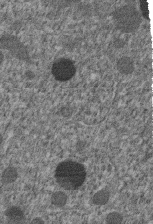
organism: C. elegans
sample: C. elegans embryo early stage